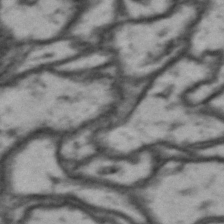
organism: Drosophila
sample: Brain